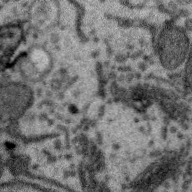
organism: Zebra finch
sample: Brain